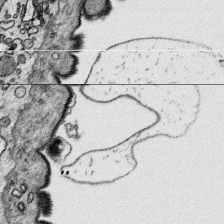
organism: Platynereis dumerilii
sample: Parapodia